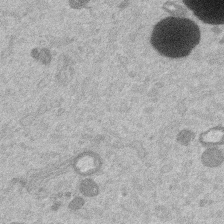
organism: Mouse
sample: Dividing mouse embryo 1 cell stage